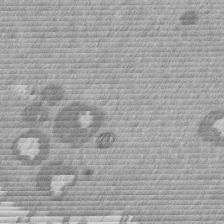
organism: Mouse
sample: Dividing mouse embryo 1 cell stage